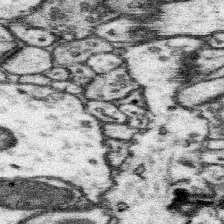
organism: Mouse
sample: Somatosensory cortex neuropil